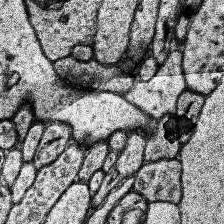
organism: Human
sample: Temporal Lobe